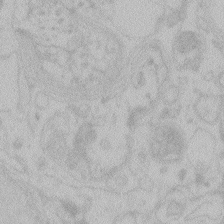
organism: Zebrafish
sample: Macrophage infected with Toxoplasma gondii